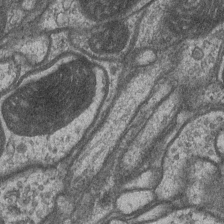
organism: Drosophila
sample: Optic medulla